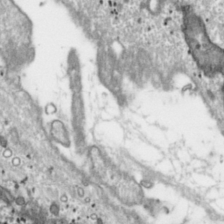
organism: Toxoplasma gondii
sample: Parasites in a vacuole inside a host cell